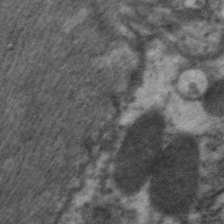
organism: C. elegans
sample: Pharynx